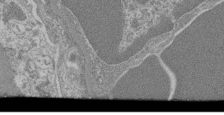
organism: Mouse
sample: Glomerulus